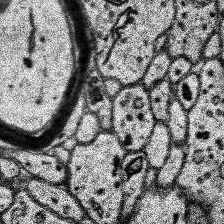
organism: Human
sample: Temporal Lobe